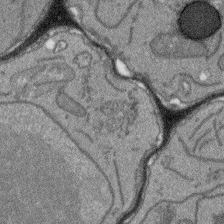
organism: Arabidopsis thaliana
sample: Root tip